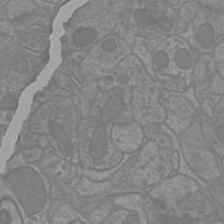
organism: Mouse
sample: Cortical neurons